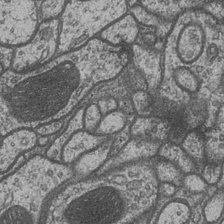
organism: Drosophila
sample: Optic medulla